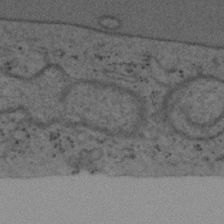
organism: Human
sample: HeLa cells